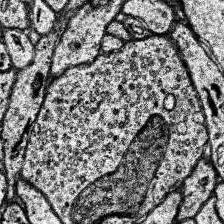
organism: Human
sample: Temporal Lobe